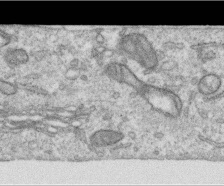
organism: Human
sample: Centriole in RPE cells